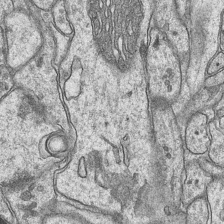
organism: Mouse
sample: CA1 Hippocampus